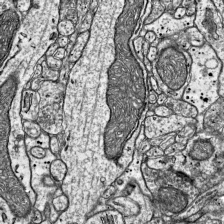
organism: Mouse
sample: Visual Cortex